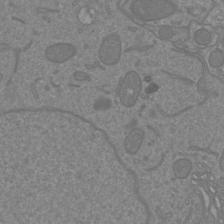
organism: Mouse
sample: Cortical neurons